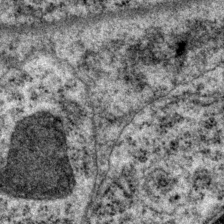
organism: P. pacificus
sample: Pharynx